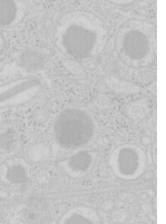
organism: Mouse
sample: Pancreas